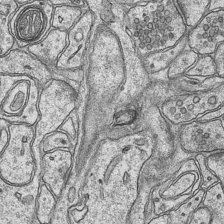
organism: Mouse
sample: CA1 Hippocampus